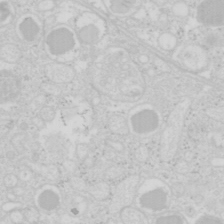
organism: Mouse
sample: Pancreas